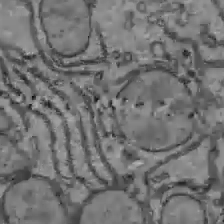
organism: C57BL Mouse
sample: Liver